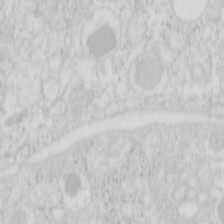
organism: Mouse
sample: Pancreas